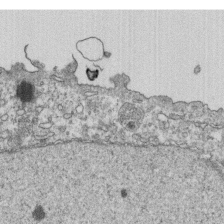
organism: Human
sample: HeLa cell HIV synapse